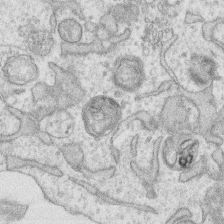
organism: Human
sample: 1205lu cells